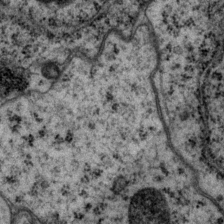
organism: P. pacificus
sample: Pharynx